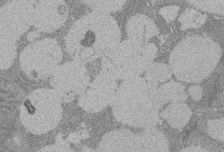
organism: Rat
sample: Salivary granule